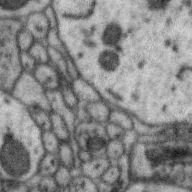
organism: Zebra finch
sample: Brain